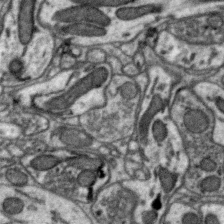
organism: Zebra finch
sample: Brain